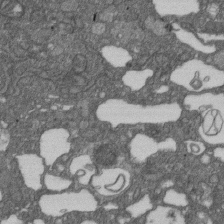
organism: Drosophila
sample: Nephrocyte